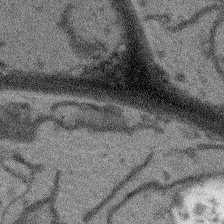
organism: Arabidopsis thaliana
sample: Root tip